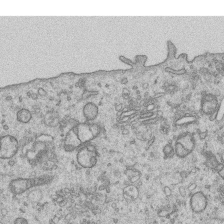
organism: Human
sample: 1205lu cells